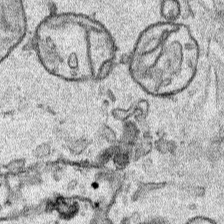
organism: Human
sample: Mitochondria in HCT116 cells